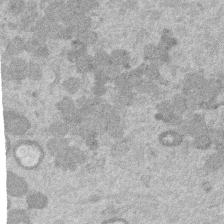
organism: Mouse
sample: Dividing mouse embryo 1 cell stage